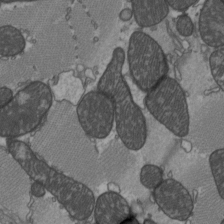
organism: C57BL Mouse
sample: Heart